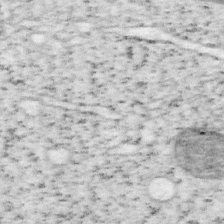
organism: Mouse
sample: OT-I killer T cells with ID8 ovarian cancer cells